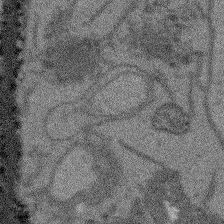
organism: Arabidopsis thaliana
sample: Root tip